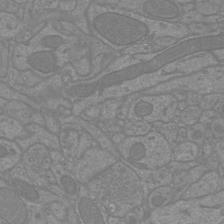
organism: Mouse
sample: Cortical neurons